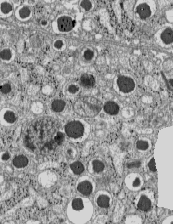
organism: C57BL Mouse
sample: Pancreatic islet